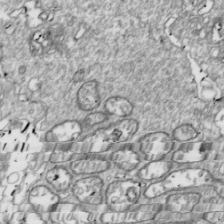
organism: Drosophila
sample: Cell division; meiosis; drosophila spermatocytes